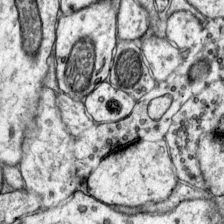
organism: Mouse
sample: Primary visual cortex